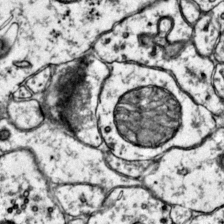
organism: Mouse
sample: Primary visual cortex